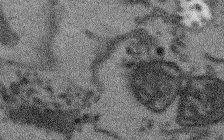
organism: Arabidopsis thaliana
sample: Root tip